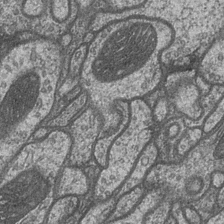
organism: Drosophila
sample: Optic medulla